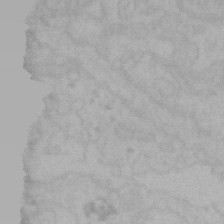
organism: Mouse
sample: Choroid plexus